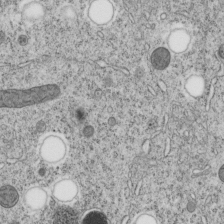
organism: C. elegans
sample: C. elegans embryo early stage